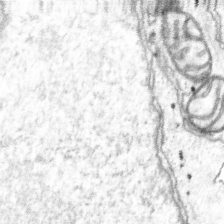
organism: Human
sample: HeLa cells